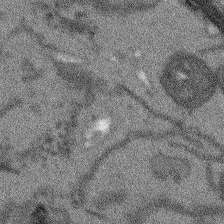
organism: Arabidopsis thaliana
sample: Root tip